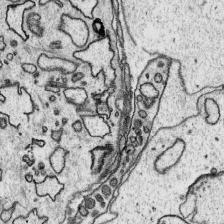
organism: Platynereis dumerilii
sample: Parapodia